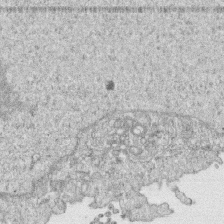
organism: Human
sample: HeLa cell HIV synapse